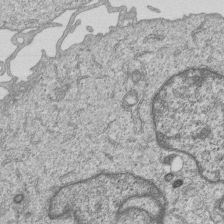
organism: Human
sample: MDA-MB-231 cells